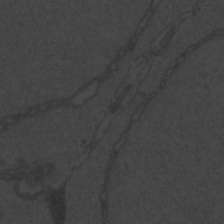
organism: Zebrafish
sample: Macrophage infected with Toxoplasma gondii